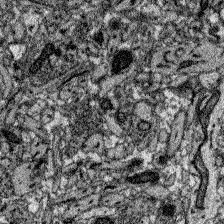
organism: Zebrafish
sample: Larval olfactory bulb